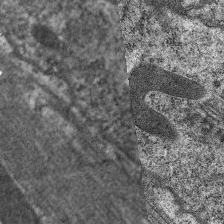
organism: C. elegans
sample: Pharynx